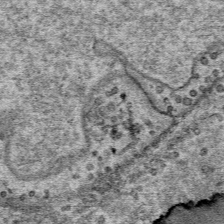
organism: Mouse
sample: Mouse Salivary gland